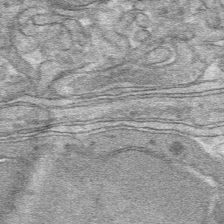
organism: Mouse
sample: Mouse hepatocytes